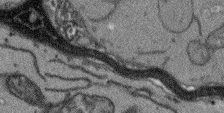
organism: Arabidopsis thaliana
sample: Root tip